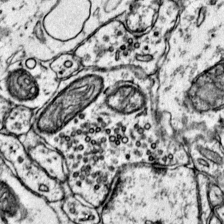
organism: Mouse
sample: Primary visual cortex